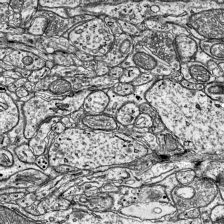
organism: Mouse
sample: Visual Cortex